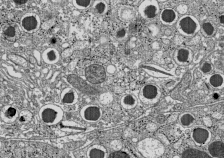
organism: C57BL Mouse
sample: Pancreatic islet